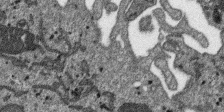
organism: Human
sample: Lung epithelial cells infected with SARS-CoV-2